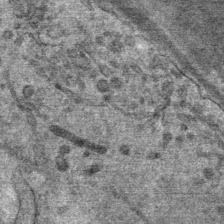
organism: Mouse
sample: Mouse Salivary gland